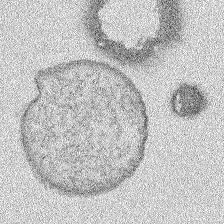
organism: Human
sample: HeLa cells